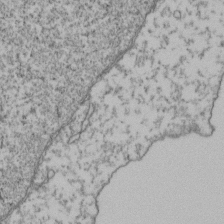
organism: Human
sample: Activated Jurkat CD4+ T cells